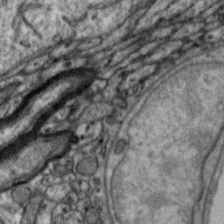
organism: Zebra finch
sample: Brain